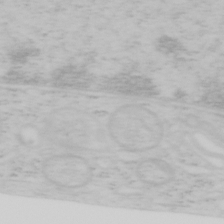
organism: Mouse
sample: OT-I killer T cells with ID8 ovarian cancer cells